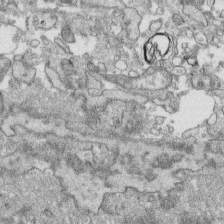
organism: Human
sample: CRL-1474